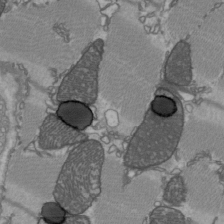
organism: C57BL Mouse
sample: Heart